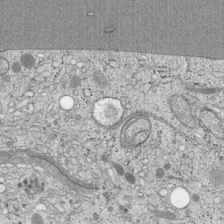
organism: African green monkey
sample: COS-7 cells